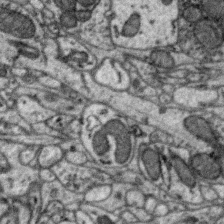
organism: Zebra finch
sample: Brain